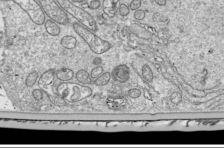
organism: Drosophila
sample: Cell division; meiosis; drosophila spermatocytes